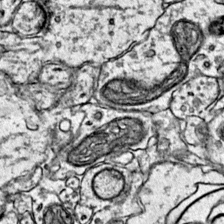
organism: Mouse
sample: Primary visual cortex